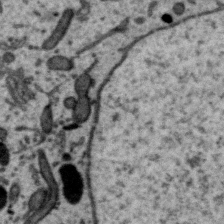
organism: Zebra finch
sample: Brain